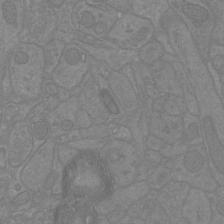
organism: Mouse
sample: Cortical neurons